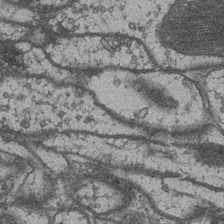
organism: Drosophila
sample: Optic medulla